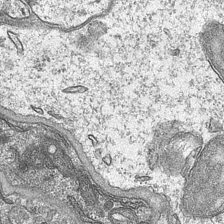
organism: Mouse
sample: CA1 Hippocampus